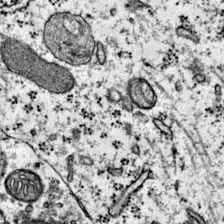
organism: Mouse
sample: Primary visual cortex